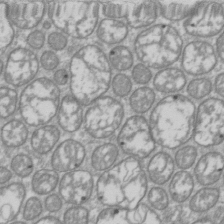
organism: Drosophila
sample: Cell division; meiosis; drosophila spermatocytes